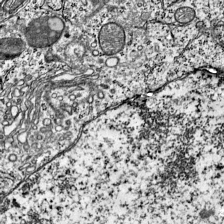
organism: Mouse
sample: Visual Cortex